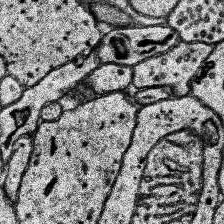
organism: Human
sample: Temporal Lobe